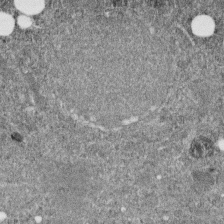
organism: C. elegans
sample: C. elegans embryo early stage